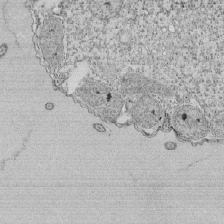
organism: Tetrahymena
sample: Cilia in tetrahymena